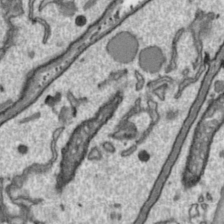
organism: Toxoplasma gondii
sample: Parasites in a vacuole inside a host cell